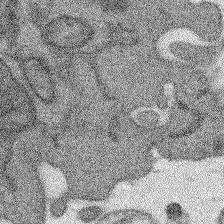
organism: Human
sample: HeLa cells